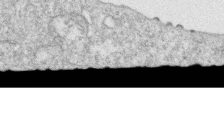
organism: Human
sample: HeLa cell HIV synapse